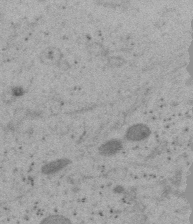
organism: Human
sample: HeLa cells